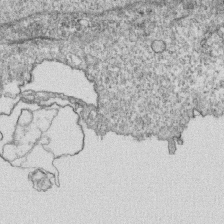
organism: Human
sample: HeLa cell HIV synapse